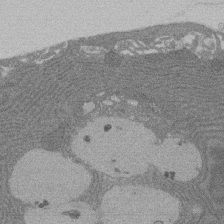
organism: Rat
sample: Salivary granule